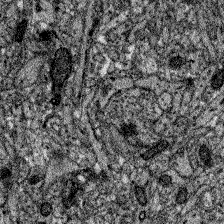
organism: Zebrafish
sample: Larval olfactory bulb